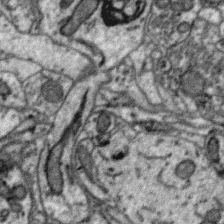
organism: Zebra finch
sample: Brain